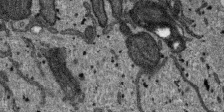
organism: Human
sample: Lung epithelial cells, uninfected (mock) control